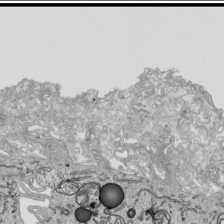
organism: Human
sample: Mitochondria in HCT116 cells